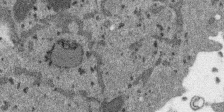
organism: Human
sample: Lung epithelial cells infected with SARS-CoV-2